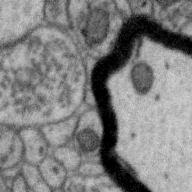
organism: Zebra finch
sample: Brain